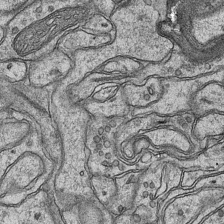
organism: Mouse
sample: CA1 Hippocampus